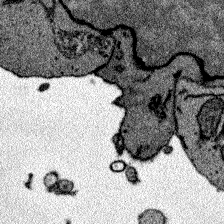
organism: Zebrafish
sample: Larval olfactory bulb